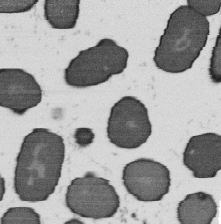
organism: B. subtilis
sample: Bacterial spore